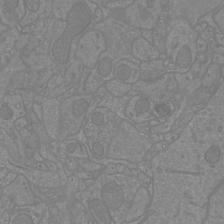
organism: Mouse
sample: Cortical neurons